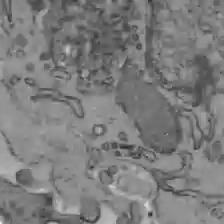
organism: C57BL Mouse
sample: Liver